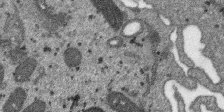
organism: Human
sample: Lung epithelial cells infected with SARS-CoV-2